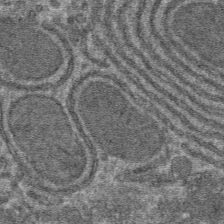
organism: Mouse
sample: Mouse hepatocytes